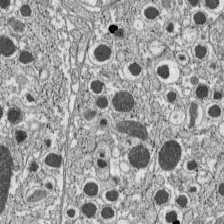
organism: C57BL Mouse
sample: Pancreatic islet